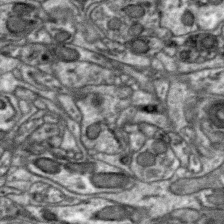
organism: Zebra finch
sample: Brain